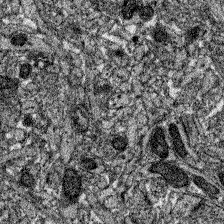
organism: Zebrafish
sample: Larval olfactory bulb